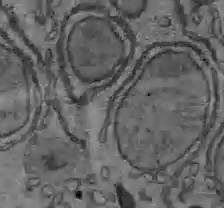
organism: C57BL Mouse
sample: Liver